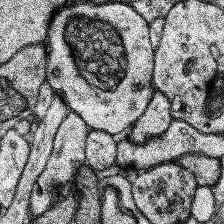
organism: Human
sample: Temporal Lobe